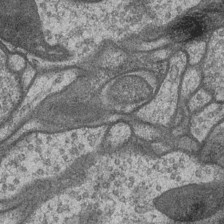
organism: Drosophila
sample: Optic medulla